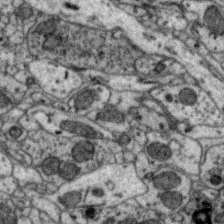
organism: Zebra finch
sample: Brain